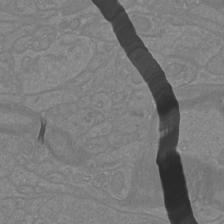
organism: Mouse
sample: Cortical neurons